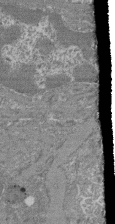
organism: Mouse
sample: Glomerulus